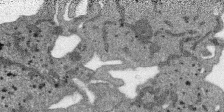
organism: Human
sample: Lung epithelial cells infected with SARS-CoV-2